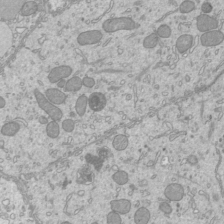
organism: Mouse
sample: Cilia; mouse epididymis